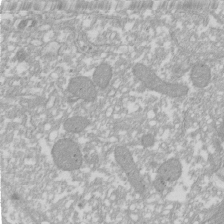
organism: Xenopus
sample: Cilia; centrioles in frog embryo cells